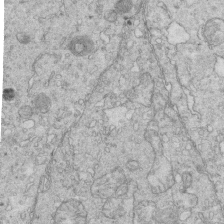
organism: Mouse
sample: Multiciliated cells